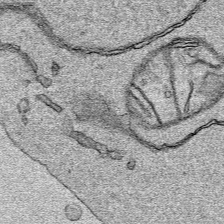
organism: Human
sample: Mitochondria in HCT116 cells